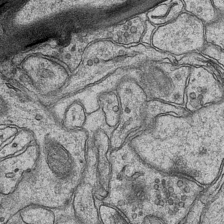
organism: Mouse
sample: CA1 Hippocampus